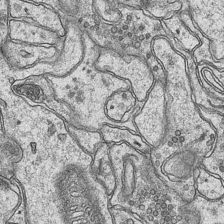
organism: Mouse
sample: CA1 Hippocampus